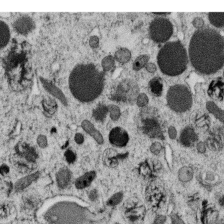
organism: C. elegans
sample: C. elegans oocyte; sperm cells